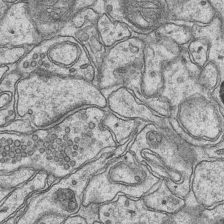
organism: Mouse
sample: CA1 Hippocampus